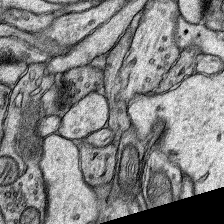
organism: Rat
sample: Hippocampus